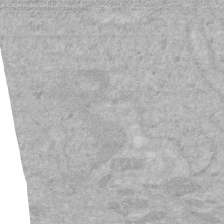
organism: Human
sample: HIV infected U937 cells